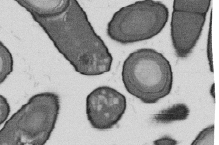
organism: B. subtilis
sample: Bacterial spore